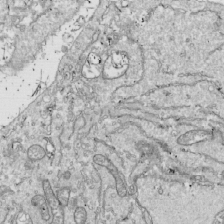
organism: Drosophila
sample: Cell division; meiosis; drosophila spermatocytes